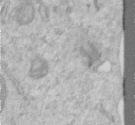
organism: Human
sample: Centriole in RPE cells